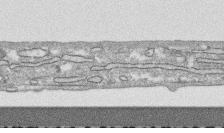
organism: Human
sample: CRL-1474